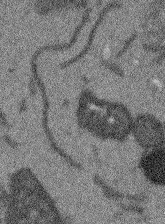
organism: Arabidopsis thaliana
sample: Root tip